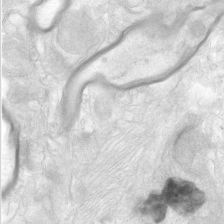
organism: Human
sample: Neocortex